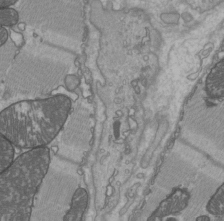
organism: C57BL Mouse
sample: Heart